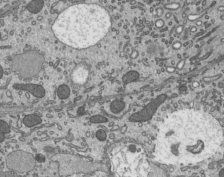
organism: Mouse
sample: Mouse epididymis efferent ductule cilia